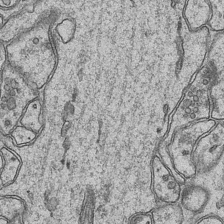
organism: Mouse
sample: CA1 Hippocampus